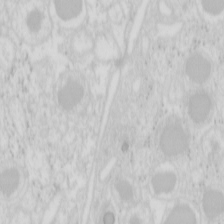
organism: Mouse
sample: Pancreas